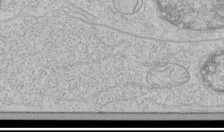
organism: Human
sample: Mitochondria in HCT116 cells